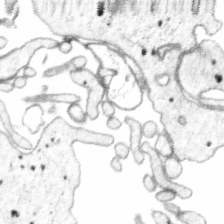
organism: Human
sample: HeLa cells